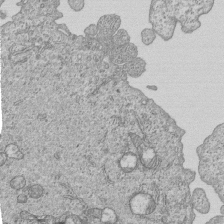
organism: Human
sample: MDA-MB-231 cells